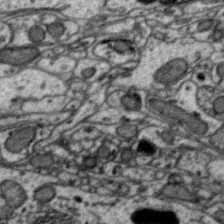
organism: Zebra finch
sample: Brain